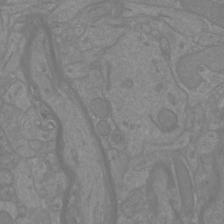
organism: Mouse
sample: Cortical neurons